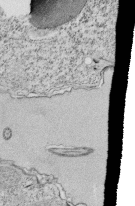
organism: Tetrahymena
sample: Cilia in tetrahymena